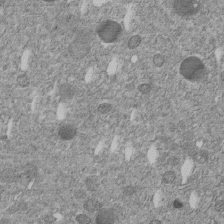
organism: C. elegans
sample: C. elegans embryo early stage